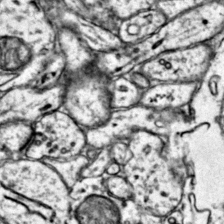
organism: Mouse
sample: Primary visual cortex